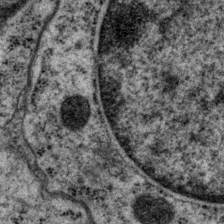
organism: P. pacificus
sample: Pharynx